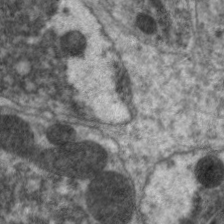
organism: C. elegans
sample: Pharynx